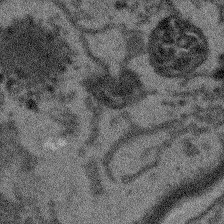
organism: Arabidopsis thaliana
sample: Root tip